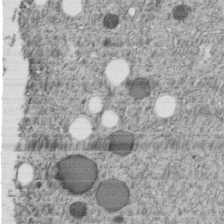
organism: C. elegans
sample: C. elegans embryo early stage